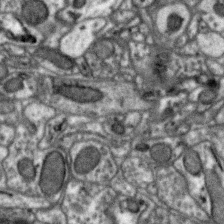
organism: Zebra finch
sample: Brain